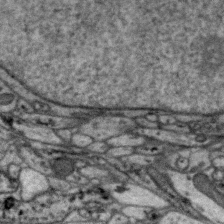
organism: Zebra finch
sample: Brain